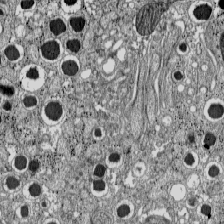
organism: C57BL Mouse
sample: Pancreatic islet